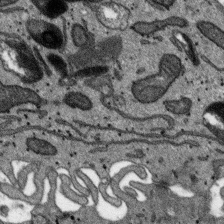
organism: Human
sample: Lung epithelial cells, uninfected (mock) control